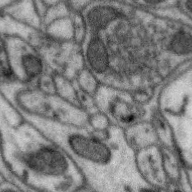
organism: Zebra finch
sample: Brain